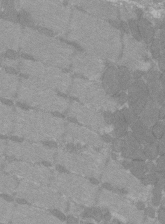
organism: C57BL Mouse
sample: Tibialis anterior muscle cell